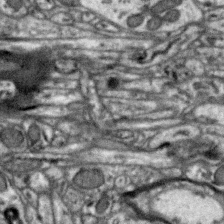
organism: Zebra finch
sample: Brain